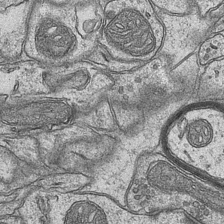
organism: Mouse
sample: CA1 Hippocampus